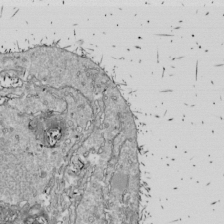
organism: Drosophila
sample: Cell division; meiosis; drosophila spermatocytes